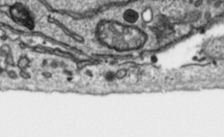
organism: Toxoplasma gondii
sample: Parasites in a vacuole inside a host cell